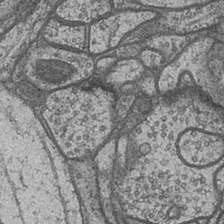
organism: Drosophila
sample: Optic medulla